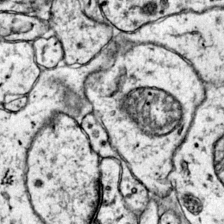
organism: Mouse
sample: Primary visual cortex